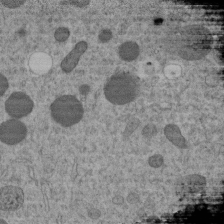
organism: C. elegans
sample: C. elegans embryo early stage